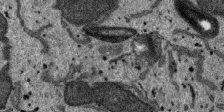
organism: Human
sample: Lung epithelial cells, uninfected (mock) control